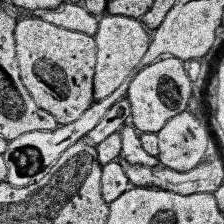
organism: Human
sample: Temporal Lobe